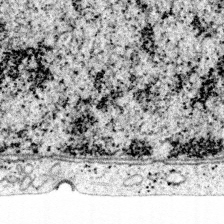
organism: Human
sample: HeLa cells